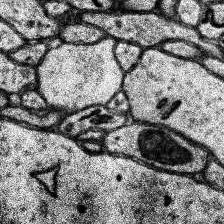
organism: Human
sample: Temporal Lobe